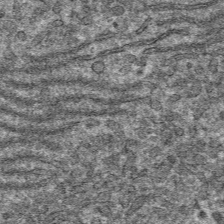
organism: Mouse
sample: Mouse hepatocytes